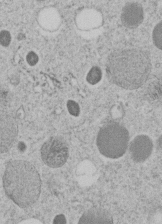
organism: C. elegans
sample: C. elegans embryo early stage